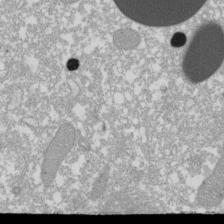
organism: Xenopus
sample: Cilia; centrioles in frog embryo cells